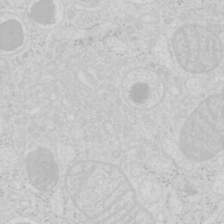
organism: Mouse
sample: Pancreas